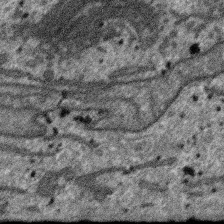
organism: Human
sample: Lung epithelial cells infected with SARS-CoV-2